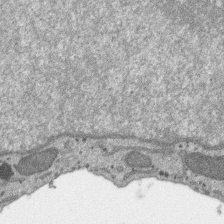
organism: Human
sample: Lung epithelial cells infected with SARS-CoV-2